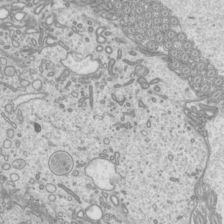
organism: Mouse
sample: Cilia; mouse epididymis